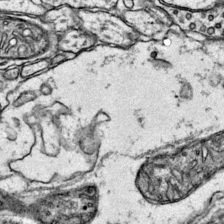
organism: Mouse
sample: Primary visual cortex